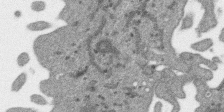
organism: Human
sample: Lung epithelial cells infected with SARS-CoV-2